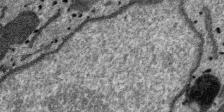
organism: Human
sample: Lung epithelial cells, uninfected (mock) control